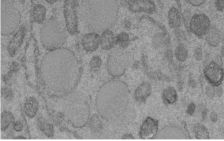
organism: C. elegans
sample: C. elegans embryo early stage